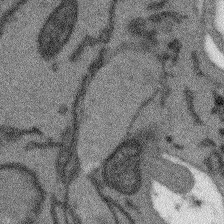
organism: Arabidopsis thaliana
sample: Root tip